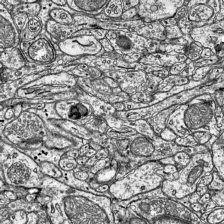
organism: Mouse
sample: Visual Cortex